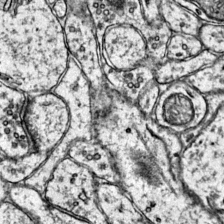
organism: Mouse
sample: Primary visual cortex